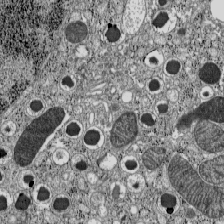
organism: C57BL Mouse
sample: Pancreatic islet